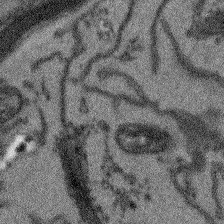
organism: Arabidopsis thaliana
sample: Root tip